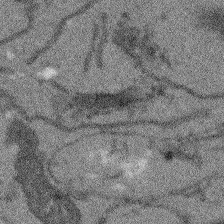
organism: Arabidopsis thaliana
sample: Root tip